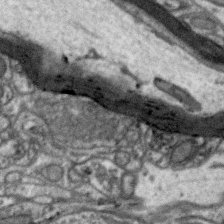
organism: Zebra finch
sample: Brain